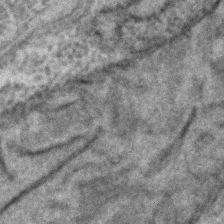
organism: C. elegans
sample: C. elegans embryo